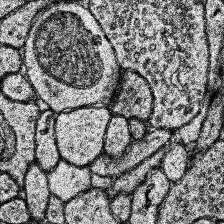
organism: Human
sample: Temporal Lobe